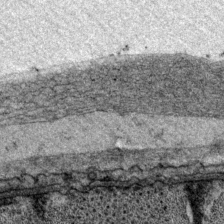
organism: P. pacificus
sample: Pharynx